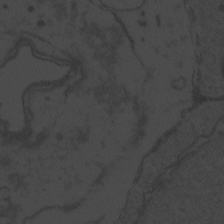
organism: Zebrafish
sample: Macrophage infected with Toxoplasma gondii